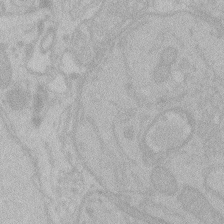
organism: Zebrafish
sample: Macrophage infected with Toxoplasma gondii